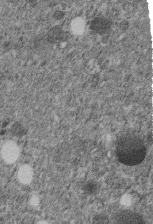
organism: C. elegans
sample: C. elegans embryo early stage